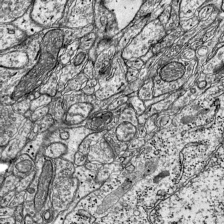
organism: Mouse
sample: Visual Cortex